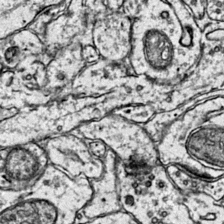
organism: Mouse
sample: Primary visual cortex